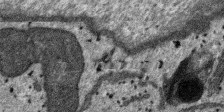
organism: Human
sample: Lung epithelial cells, uninfected (mock) control